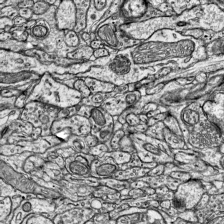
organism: Mouse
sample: Visual Cortex